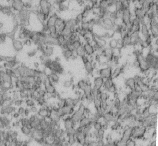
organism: Mouse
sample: Cilia; retinal pigment epithelium